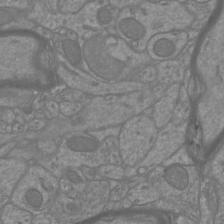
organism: Mouse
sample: Cortical neurons